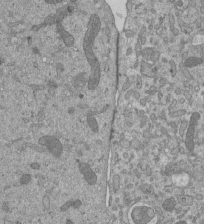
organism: Mouse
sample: ED-1 cell nuclei; centrioles